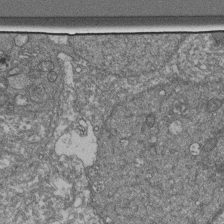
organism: Human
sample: Retinal organoid Rod and Cone cells